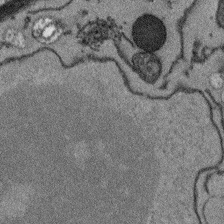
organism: Arabidopsis thaliana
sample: Root tip